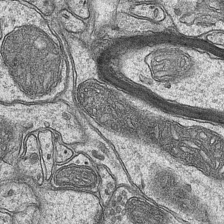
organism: Mouse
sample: CA1 Hippocampus